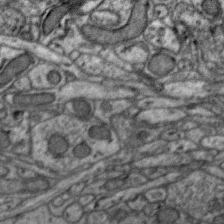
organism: Zebra finch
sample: Brain